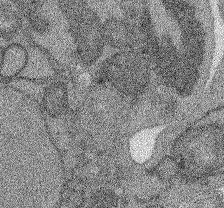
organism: Human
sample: HeLa cells